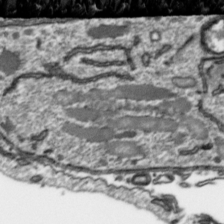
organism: Toxoplasma gondii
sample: Parasites in a vacuole inside a host cell